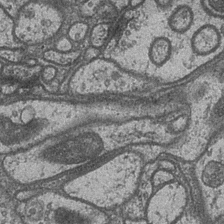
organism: Drosophila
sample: Optic medulla